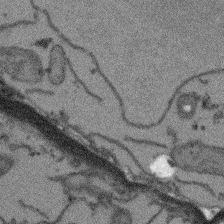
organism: Arabidopsis thaliana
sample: Root tip